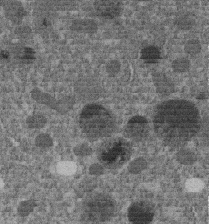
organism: C. elegans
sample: C. elegans embryo early stage